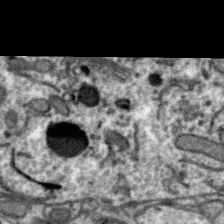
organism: Zebra finch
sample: Brain